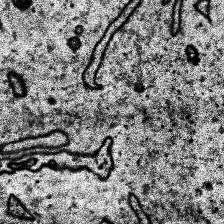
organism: Human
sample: Temporal Lobe